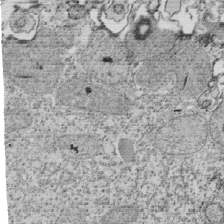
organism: Tetrahymena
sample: Cilia in tetrahymena